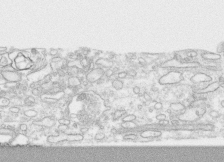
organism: Human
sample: CRL-1474